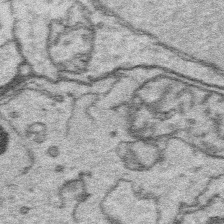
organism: Platynereis dumerilii